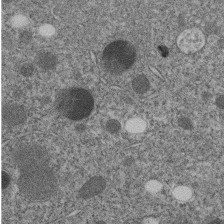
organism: C. elegans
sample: C. elegans embryo early stage